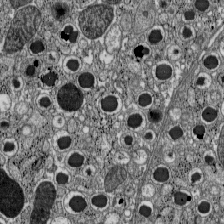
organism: C57BL Mouse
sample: Pancreatic islet